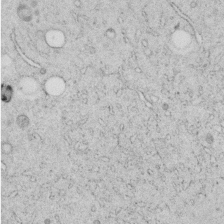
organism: C. elegans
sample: C. elegans embryo early stage